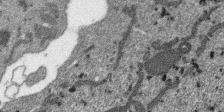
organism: Human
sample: Lung epithelial cells infected with SARS-CoV-2